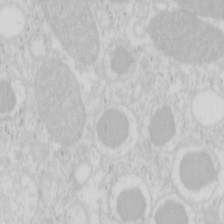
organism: Mouse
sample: Pancreas